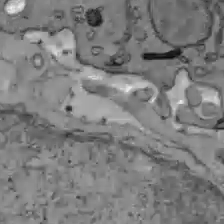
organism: C57BL Mouse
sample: Liver